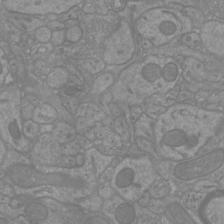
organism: Mouse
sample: Cortical neurons